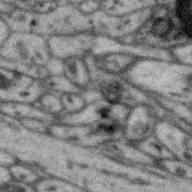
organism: Zebra finch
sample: Brain